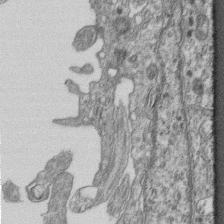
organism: Mouse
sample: Centriole in ependymal cells